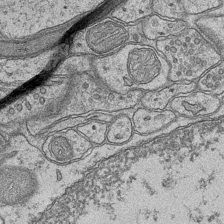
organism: Mouse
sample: CA1 Hippocampus